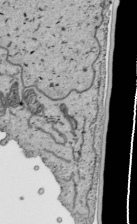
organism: Human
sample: Mitochondria in HCT116 cells